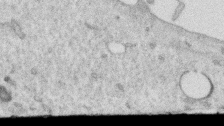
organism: Human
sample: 1205lu cells